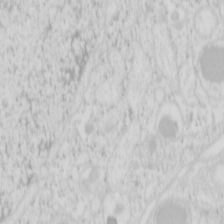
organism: Mouse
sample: Pancreas